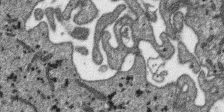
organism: Human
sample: Lung epithelial cells infected with SARS-CoV-2